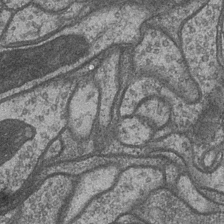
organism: Drosophila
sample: Optic medulla